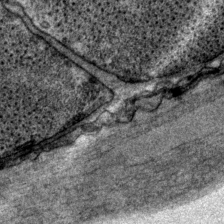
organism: P. pacificus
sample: Pharynx